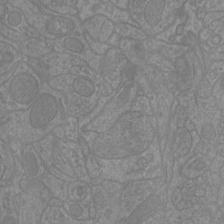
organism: Mouse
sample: Cortical neurons